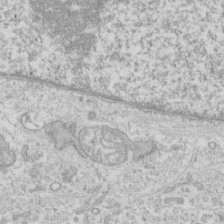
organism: Human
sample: CRL-1474